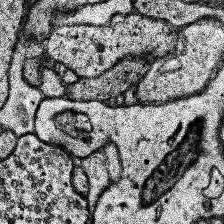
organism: Human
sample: Temporal Lobe